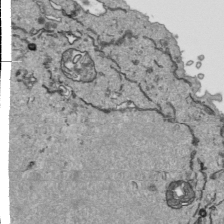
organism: Human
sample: Mitochondria in HCT116 cells